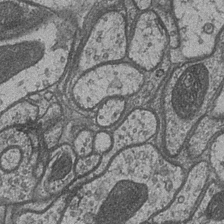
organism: Drosophila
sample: Optic medulla